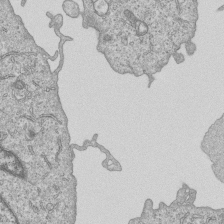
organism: Human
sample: MDA-MB-231 cells